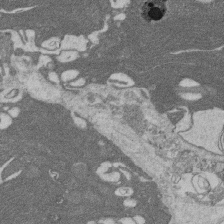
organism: Rat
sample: Salivary granule